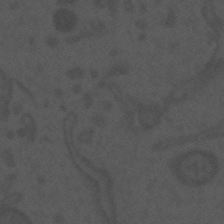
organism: Mouse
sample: Suprachiasmatic nucleus